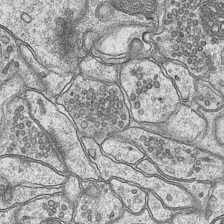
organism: Mouse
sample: CA1 Hippocampus